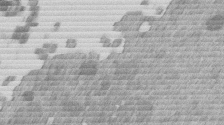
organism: Mouse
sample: Dividing mouse embryo 1 cell stage